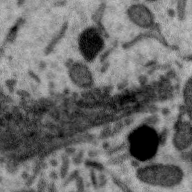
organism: Zebra finch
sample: Brain